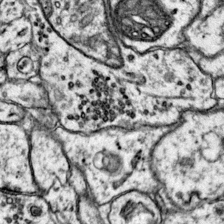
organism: Mouse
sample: Primary visual cortex